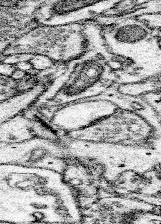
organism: Mouse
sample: Somatosensory cortex neuropil